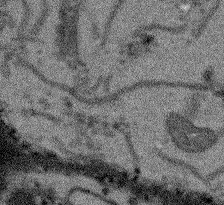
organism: Arabidopsis thaliana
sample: Root tip